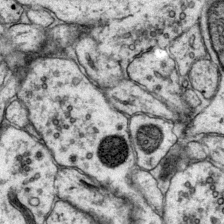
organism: Mouse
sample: Primary visual cortex